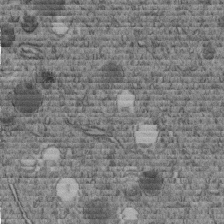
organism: C. elegans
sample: C. elegans embryo early stage